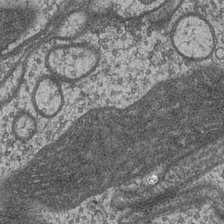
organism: Drosophila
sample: Optic medulla